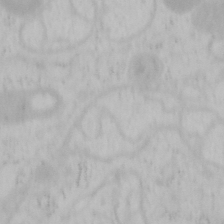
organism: Human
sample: HeLa cells